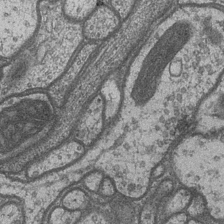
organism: Drosophila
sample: Optic medulla